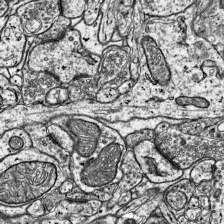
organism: Mouse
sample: Visual Cortex